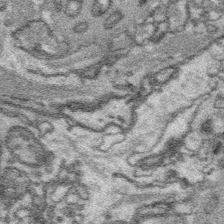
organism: Platynereis dumerilii